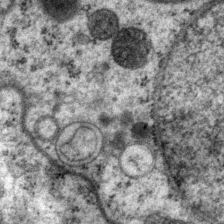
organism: P. pacificus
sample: Pharynx